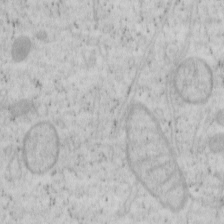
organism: Human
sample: HeLa cells